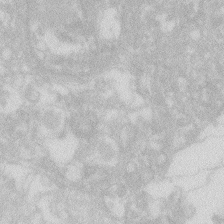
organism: Zebrafish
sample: Macrophage